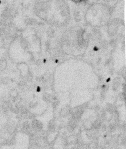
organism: Mouse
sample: T cell stromal cell synapse